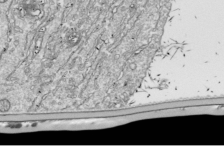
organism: Drosophila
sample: Cell division; meiosis; drosophila spermatocytes